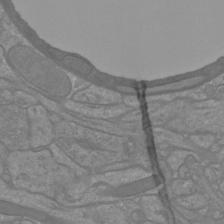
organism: Mouse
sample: Cortical neurons